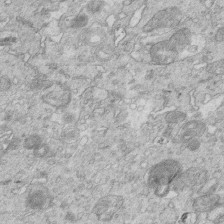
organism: Mouse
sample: Multiciliated cells